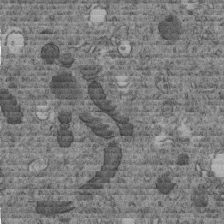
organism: C. elegans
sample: C. elegans embryo early stage